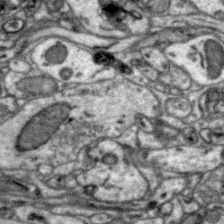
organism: Zebra finch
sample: Brain